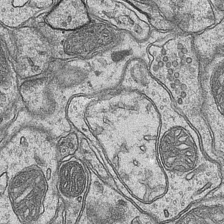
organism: Mouse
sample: CA1 Hippocampus